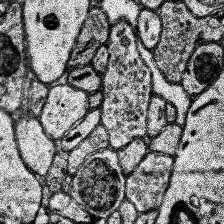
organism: Human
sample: Temporal Lobe